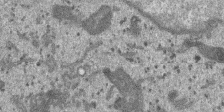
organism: Human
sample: Lung epithelial cells infected with SARS-CoV-2